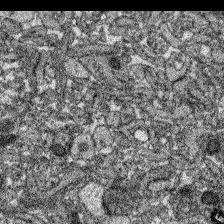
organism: Zebrafish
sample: Larval olfactory bulb